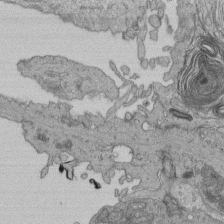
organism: Human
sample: Retinal organoid Rod and Cone cells